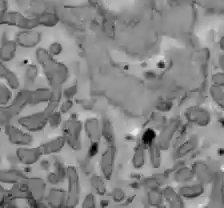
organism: C57BL Mouse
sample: Liver